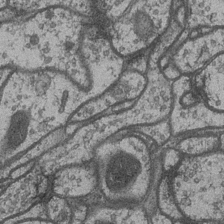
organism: Drosophila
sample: Optic medulla